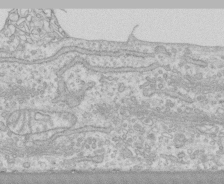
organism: Human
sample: CRL-1474